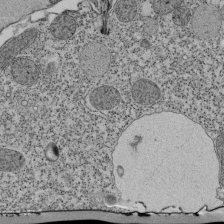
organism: Tetrahymena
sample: Cilia in tetrahymena